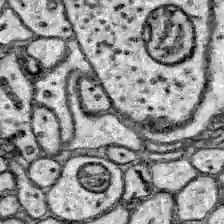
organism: Zebrafish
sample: Brain